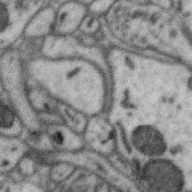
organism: Zebra finch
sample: Brain